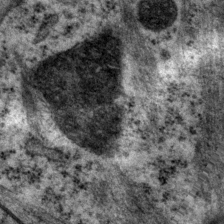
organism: P. pacificus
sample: Pharynx